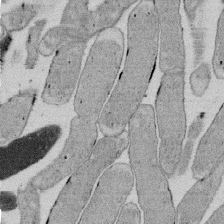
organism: E. coli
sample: Bacterial nucleoid